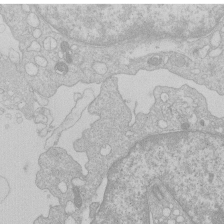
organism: Human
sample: Macrophage cells